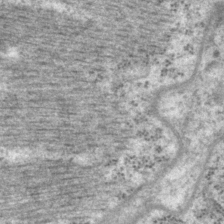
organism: P. pacificus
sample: Pharynx